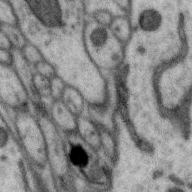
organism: Zebra finch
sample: Brain